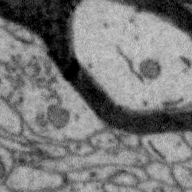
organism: Zebra finch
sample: Brain